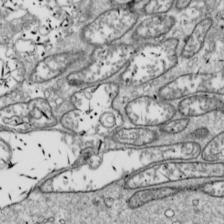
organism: Drosophila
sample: Cell division; meiosis; drosophila spermatocytes